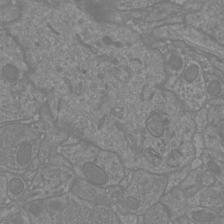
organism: Mouse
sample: Cortical neurons